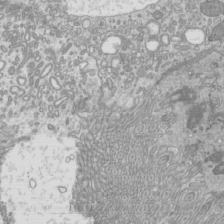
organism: Mouse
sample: Cilia; mouse epididymis